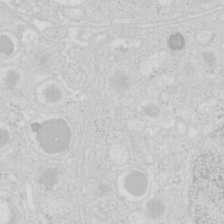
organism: Mouse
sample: Pancreas